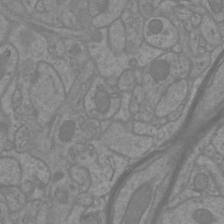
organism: Mouse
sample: Cortical neurons